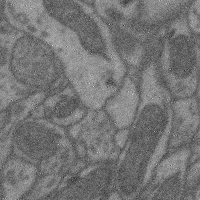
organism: Mouse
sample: Cerebral cortex